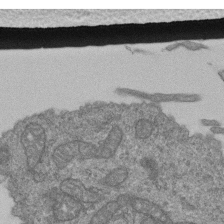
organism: Human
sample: Retinal organoid Rod and Cone cells